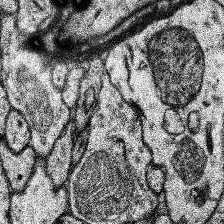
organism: Human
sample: Temporal Lobe